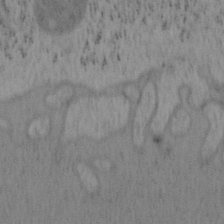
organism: Mouse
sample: OT-I killer T cells with ID8 ovarian cancer cells